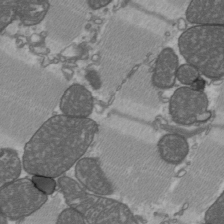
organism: C57BL Mouse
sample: Heart